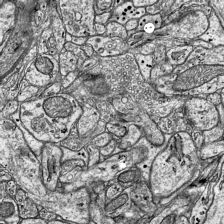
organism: Mouse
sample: Visual Cortex